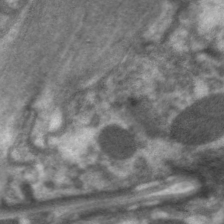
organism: C. elegans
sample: Pharynx